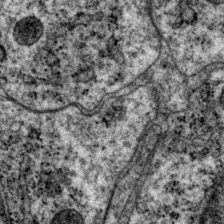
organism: P. pacificus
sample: Pharynx